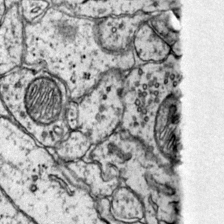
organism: Mouse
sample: Primary visual cortex